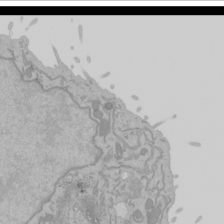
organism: Mouse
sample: Cancer cell death in ED-1 cells